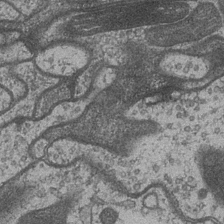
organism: Drosophila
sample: Optic medulla